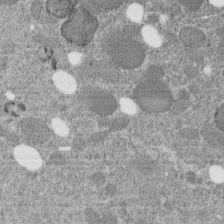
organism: C. elegans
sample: C. elegans embryo early stage